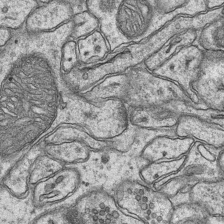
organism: Mouse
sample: CA1 Hippocampus